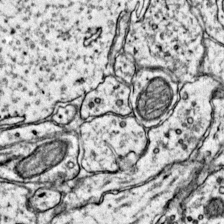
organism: Mouse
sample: Primary visual cortex